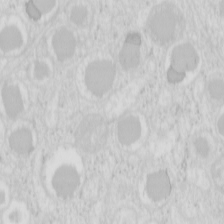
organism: Mouse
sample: Pancreas